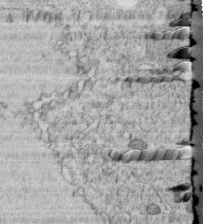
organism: C. elegans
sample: C. elegans embryo early stage